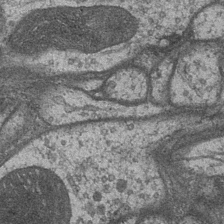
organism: Drosophila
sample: Optic medulla